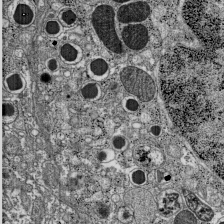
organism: C57BL Mouse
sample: Pancreatic islet